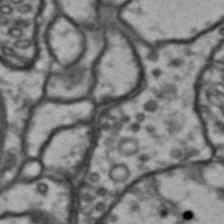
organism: Drosophila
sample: Brain